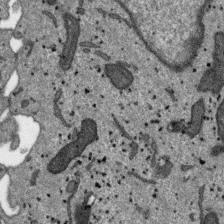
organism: Human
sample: Lung epithelial cells, uninfected (mock) control